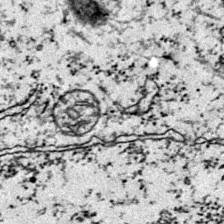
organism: Mouse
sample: Primary visual cortex